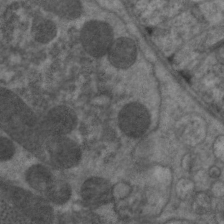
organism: C. elegans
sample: Pharynx